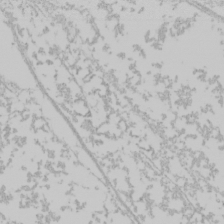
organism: Mouse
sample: Cancer cell death in ED-1 cells